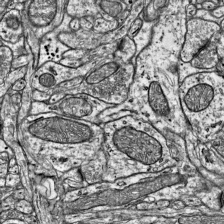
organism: Mouse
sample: Visual Cortex